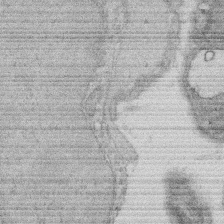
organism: Rat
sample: Salivary granule